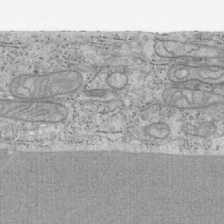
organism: Human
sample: HeLa cells